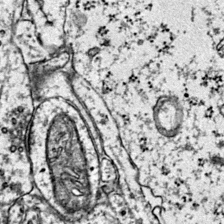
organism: Mouse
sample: Primary visual cortex